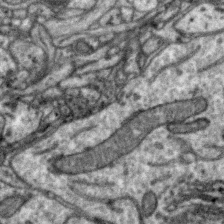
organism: Zebra finch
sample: Brain